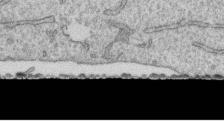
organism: Human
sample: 1205lu cells